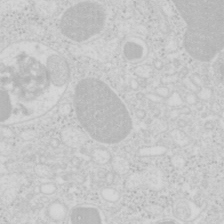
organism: Mouse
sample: Pancreas